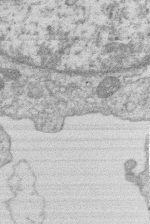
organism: Human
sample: Macrophage cells